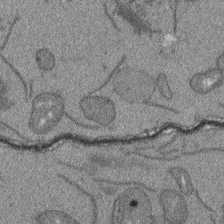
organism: Arabidopsis thaliana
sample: Root tip